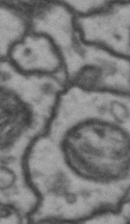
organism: Drosophila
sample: Brain